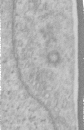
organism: Human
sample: Centriole in RPE cells